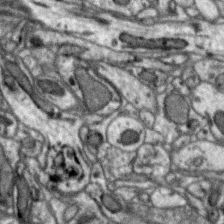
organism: Zebra finch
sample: Brain